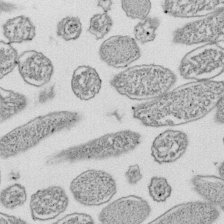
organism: E. coli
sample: Bacterial nucleoid